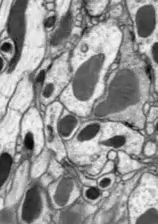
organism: Drosophila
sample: Optic lobe